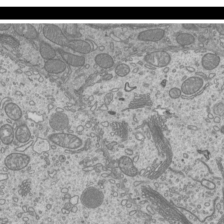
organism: Mouse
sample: Cilia; mouse epididymis